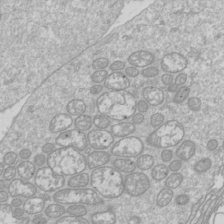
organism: Drosophila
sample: Cell division; meiosis; drosophila spermatocytes